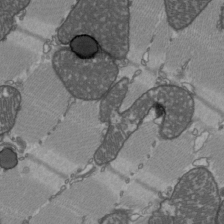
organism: C57BL Mouse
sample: Heart